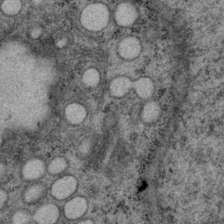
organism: P. pacificus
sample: Pharynx